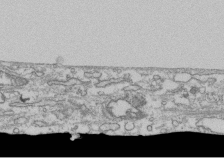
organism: Human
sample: Fibroblast cells